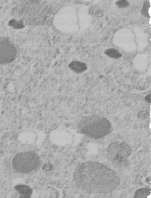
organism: C. elegans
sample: C. elegans embryo early stage